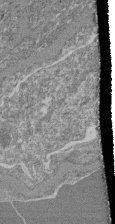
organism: Mouse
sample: Glomerulus